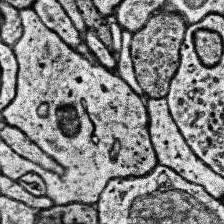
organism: Human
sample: Temporal Lobe